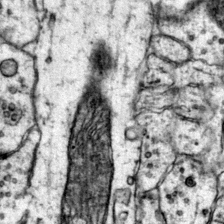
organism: Mouse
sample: Primary visual cortex